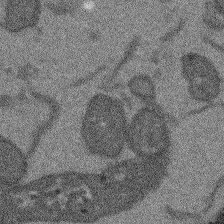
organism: Arabidopsis thaliana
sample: Root tip